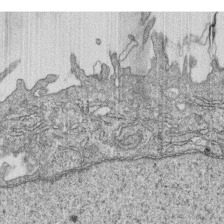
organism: Human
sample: HeLa cell HIV synapse